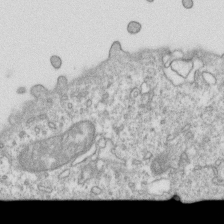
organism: Mouse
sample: Activated OT-1 CD8+ T cells